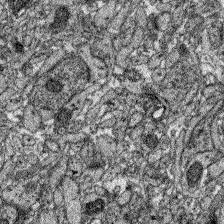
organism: Zebrafish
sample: Larval olfactory bulb